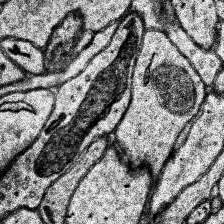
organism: Human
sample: Temporal Lobe